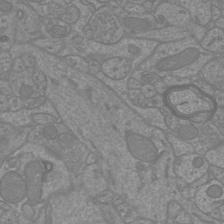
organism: Mouse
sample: Cortical neurons